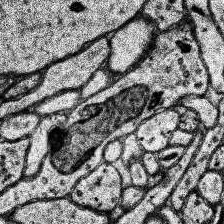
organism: Human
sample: Temporal Lobe